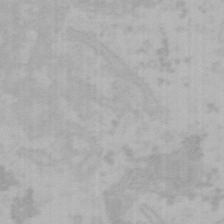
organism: Mouse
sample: Choroid plexus